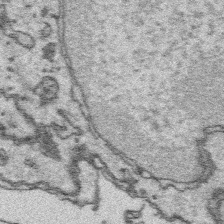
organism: Platynereis dumerilii